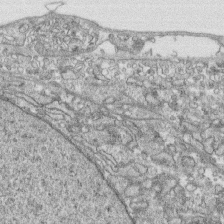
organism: Human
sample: CRL-1474